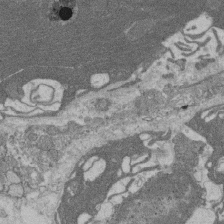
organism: Rat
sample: Salivary granule